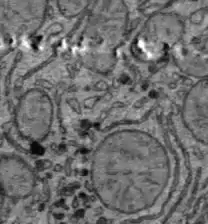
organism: C57BL Mouse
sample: Liver